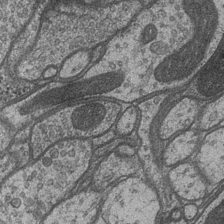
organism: Drosophila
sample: Optic medulla